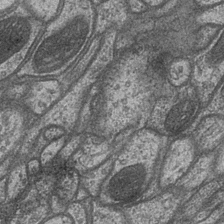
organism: Drosophila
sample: Optic medulla